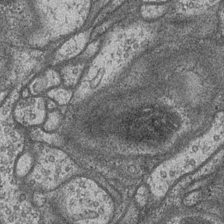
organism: Drosophila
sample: Optic medulla